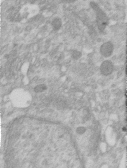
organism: Human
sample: Centriole in RPE cells